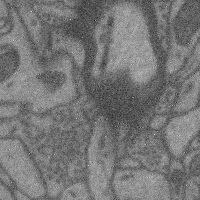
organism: Mouse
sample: Cerebral cortex